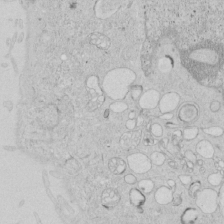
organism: Human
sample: Mitochondria in HCT116 cells